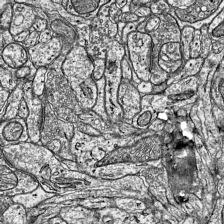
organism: Mouse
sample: Visual Cortex